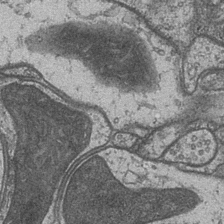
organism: Drosophila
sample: Optic medulla